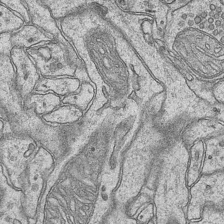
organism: Mouse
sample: CA1 Hippocampus